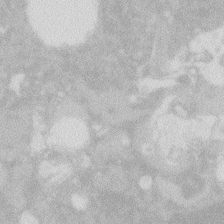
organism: Zebrafish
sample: Macrophage